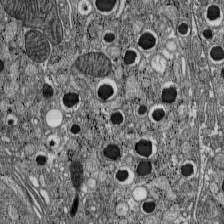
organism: C57BL Mouse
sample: Pancreatic islet